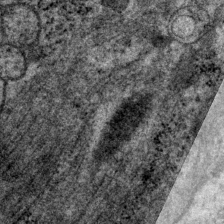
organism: P. pacificus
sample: Pharynx